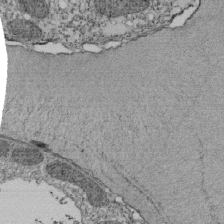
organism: Tetrahymena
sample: Cilia in tetrahymena